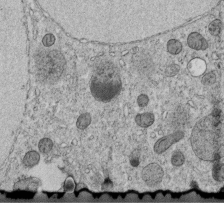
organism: C. elegans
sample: C. elegans embryo early stage